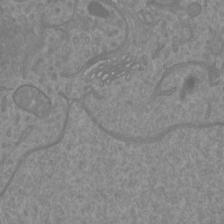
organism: Mouse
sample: Cortical neurons